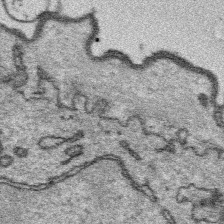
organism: Platynereis dumerilii